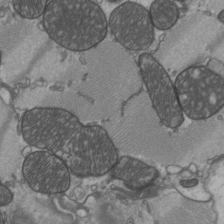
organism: C57BL Mouse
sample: Heart